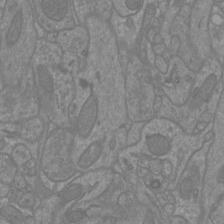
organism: Mouse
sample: Cortical neurons